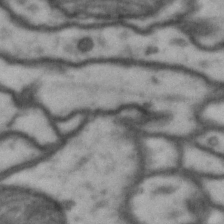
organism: Drosophila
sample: Brain